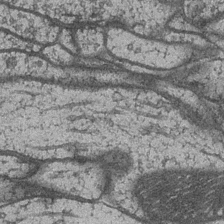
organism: Drosophila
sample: Optic medulla